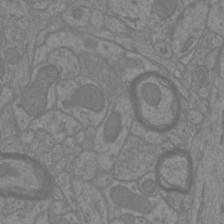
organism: Mouse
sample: Cortical neurons